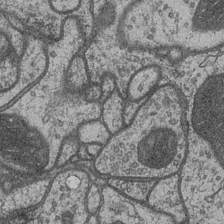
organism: Drosophila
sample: Optic medulla